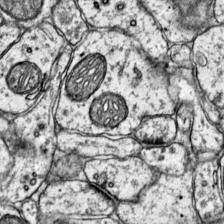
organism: Mouse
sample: Primary visual cortex